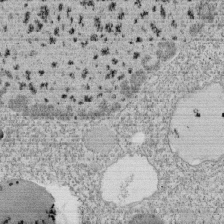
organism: Tetrahymena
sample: Cilia in tetrahymena